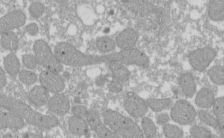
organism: Xenopus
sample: Cilia; centrioles in frog embryo cells